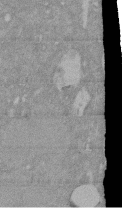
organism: Mouse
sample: ED-1 cell nuclei; centrioles